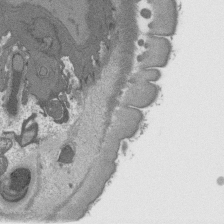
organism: C. elegans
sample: AFD neurons C. elegans